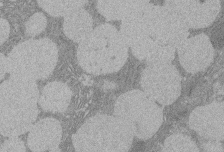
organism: Rat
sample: Salivary granule